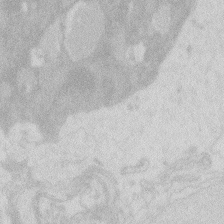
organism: Zebrafish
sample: Macrophage